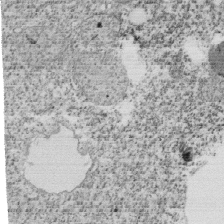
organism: Tetrahymena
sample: Cilia in tetrahymena